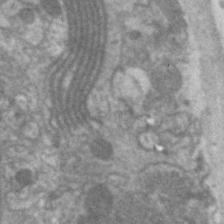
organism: C. elegans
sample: Pharynx